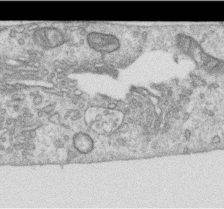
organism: Human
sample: Centriole in RPE cells